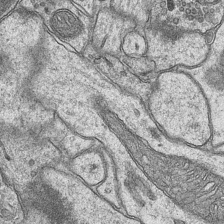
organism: Mouse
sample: CA1 Hippocampus